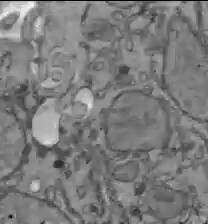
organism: C57BL Mouse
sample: Liver